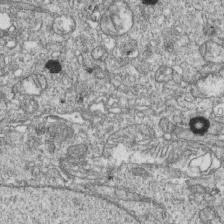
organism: Human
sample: HeLa cell HIV synapse